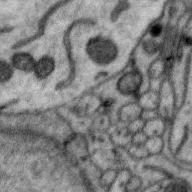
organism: Zebra finch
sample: Brain